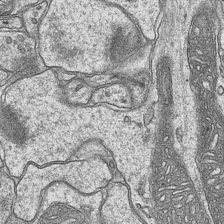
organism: Mouse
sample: CA1 Hippocampus